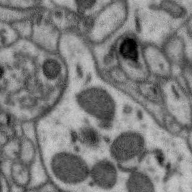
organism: Zebra finch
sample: Brain